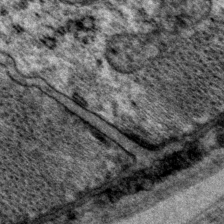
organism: P. pacificus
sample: Pharynx